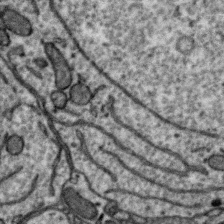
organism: Zebra finch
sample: Brain